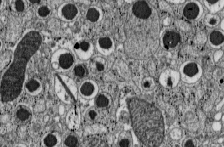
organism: C57BL Mouse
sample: Pancreatic islet